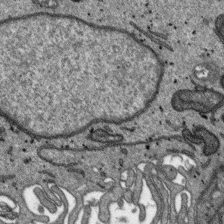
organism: Human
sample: Lung epithelial cells, uninfected (mock) control